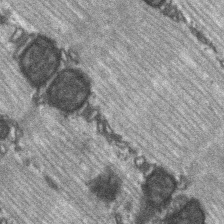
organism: C57BL Mouse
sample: Soleus